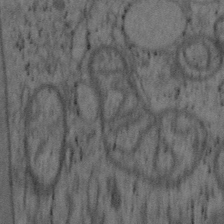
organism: Human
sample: HeLa cells